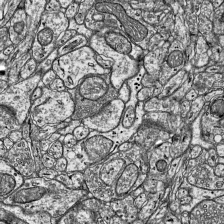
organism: Mouse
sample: Visual Cortex